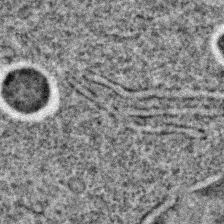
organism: C. elegans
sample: C. elegans embryo